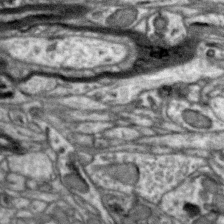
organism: Zebra finch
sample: Brain